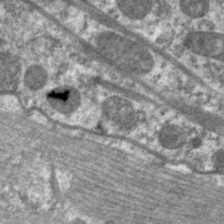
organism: C. elegans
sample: Pharynx